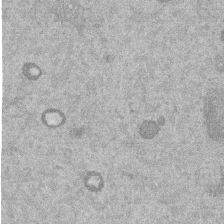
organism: Mouse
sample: Dividing mouse embryo 1 cell stage